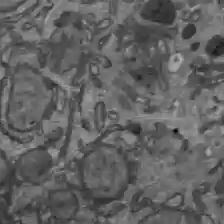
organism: C57BL Mouse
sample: Liver